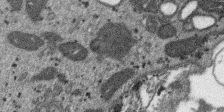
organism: Human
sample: Lung epithelial cells infected with SARS-CoV-2